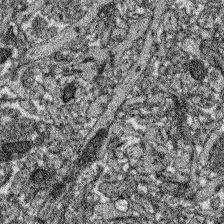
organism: Zebrafish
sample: Larval olfactory bulb